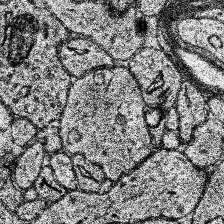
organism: Human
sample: Temporal Lobe